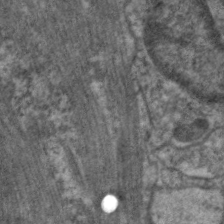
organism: C. elegans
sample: Pharynx